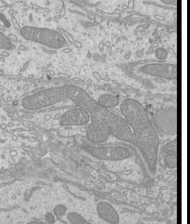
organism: Mouse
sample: Cilia; mouse epididymis